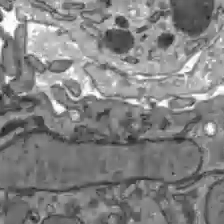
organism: C57BL Mouse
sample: Liver